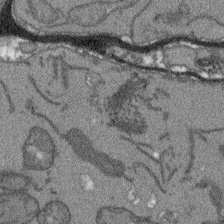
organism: Arabidopsis thaliana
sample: Root tip